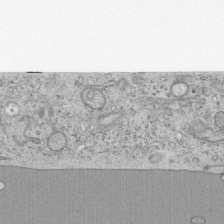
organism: Human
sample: HeLa cells